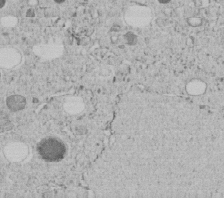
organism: C. elegans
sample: C. elegans embryo early stage